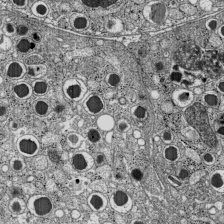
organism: C57BL Mouse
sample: Pancreatic islet